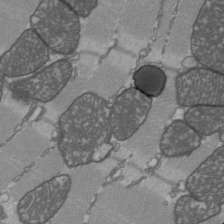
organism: C57BL Mouse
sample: Heart